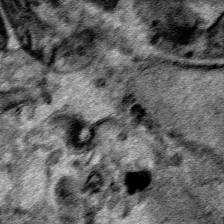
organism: Human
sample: Mitochondria in HCT116 cells